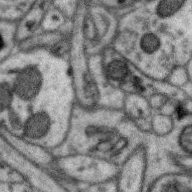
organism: Zebra finch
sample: Brain